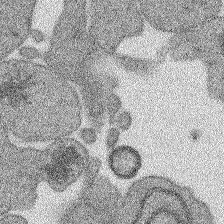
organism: Human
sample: HeLa cells